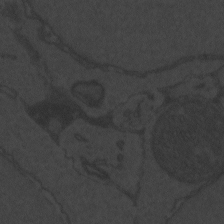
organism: Zebrafish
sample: Macrophage infected with Toxoplasma gondii